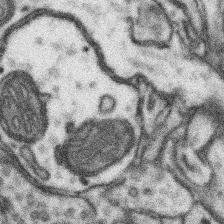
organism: Mouse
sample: Somatosensory cortex neuropil